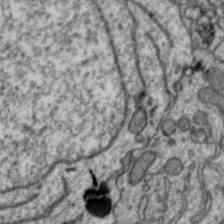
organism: Zebra finch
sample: Brain